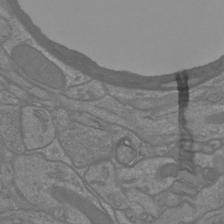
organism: Mouse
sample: Cortical neurons